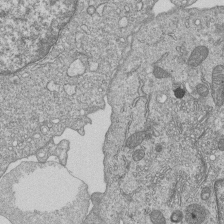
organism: Human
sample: MDA-MB-231 cells